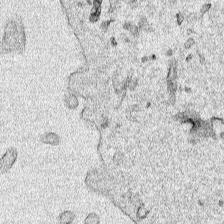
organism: Human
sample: Mitochondria in HCT116 cells